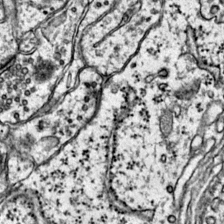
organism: Mouse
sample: Primary visual cortex